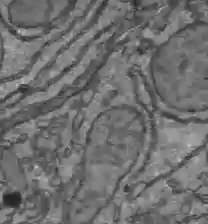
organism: C57BL Mouse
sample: Liver